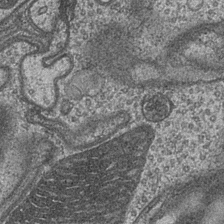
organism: Drosophila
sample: Optic medulla